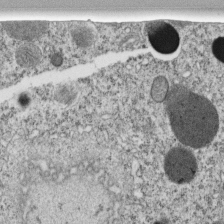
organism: C. elegans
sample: C. elegans embryo early stage